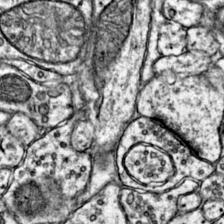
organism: Mouse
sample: Primary visual cortex